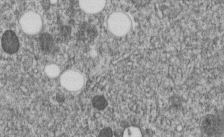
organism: C. elegans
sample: C. elegans embryo early stage